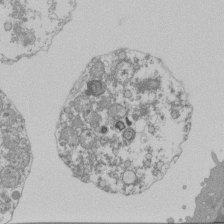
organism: Mouse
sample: Activated Pmel transgenic CD8+ T Cells